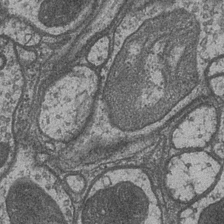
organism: Drosophila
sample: Optic medulla